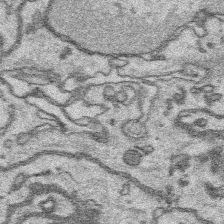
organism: Platynereis dumerilii